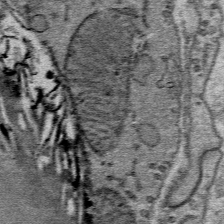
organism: Mouse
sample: Mouse Salivary gland